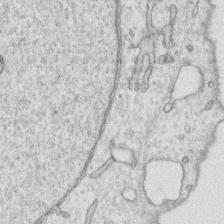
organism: Human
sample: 1205lu cells